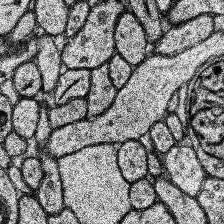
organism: Human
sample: Temporal Lobe